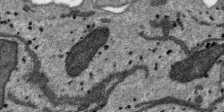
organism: Human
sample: Lung epithelial cells, uninfected (mock) control